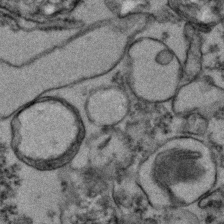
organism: Zebrafish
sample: Zebrafish embryo